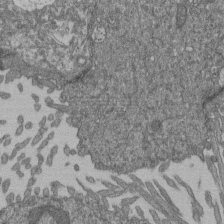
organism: Human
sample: Retinal organoid Rod and Cone cells